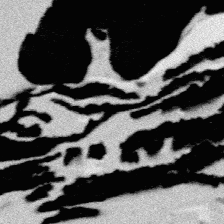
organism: Platynereis dumerilii